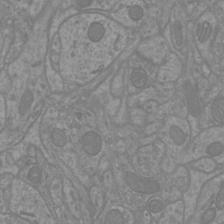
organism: Mouse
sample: Cortical neurons